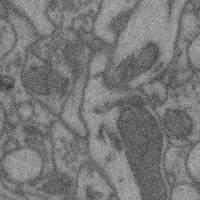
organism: Mouse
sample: Cerebral cortex